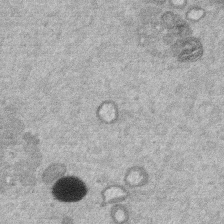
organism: Mouse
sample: Dividing mouse embryo 1 cell stage